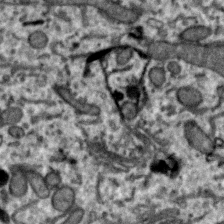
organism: Zebra finch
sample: Brain